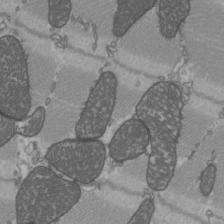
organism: C57BL Mouse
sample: Heart